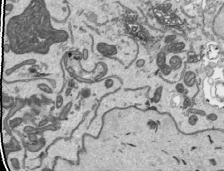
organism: Human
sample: Mitochondria in HCT116 cells